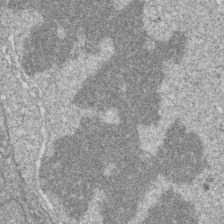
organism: Zebrafish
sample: Cilia; retinal pigment epithelium